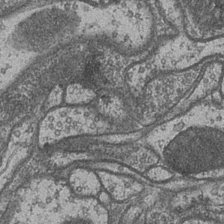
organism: Drosophila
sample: Optic medulla